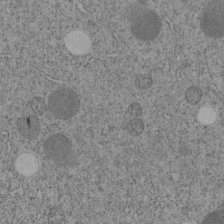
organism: C. elegans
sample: C. elegans embryo early stage